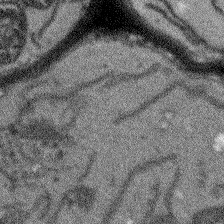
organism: Arabidopsis thaliana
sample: Root tip